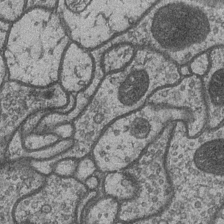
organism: Drosophila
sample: Optic medulla